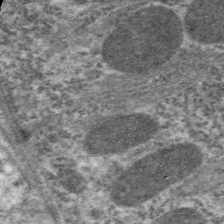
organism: C. elegans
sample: Pharynx